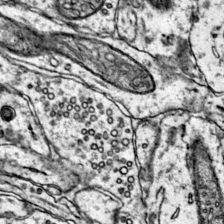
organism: Mouse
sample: Primary visual cortex